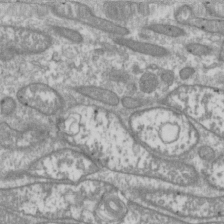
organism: Drosophila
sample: Cell division; meiosis; drosophila spermatocytes